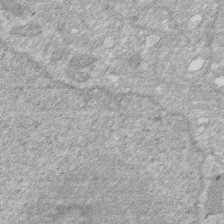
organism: Human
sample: HIV infected U937 cells